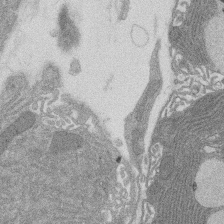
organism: Rat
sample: Salivary granule